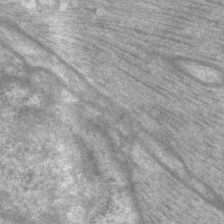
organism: P. pacificus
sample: Pharynx